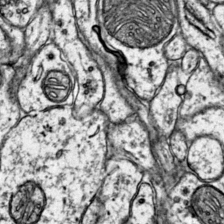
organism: Mouse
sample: Primary visual cortex